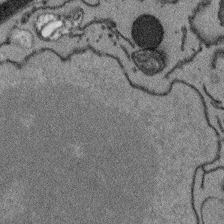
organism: Arabidopsis thaliana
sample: Root tip